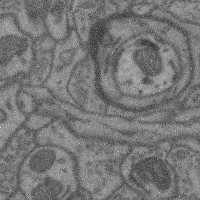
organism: Mouse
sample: Cerebral cortex